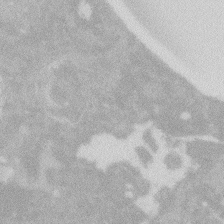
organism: Zebrafish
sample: Macrophage